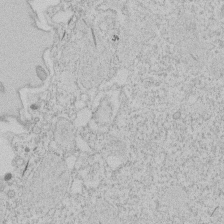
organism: Tetrahymena